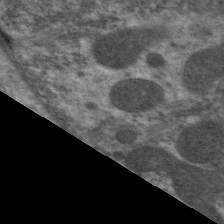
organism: C. elegans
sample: Pharynx